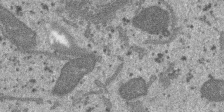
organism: Human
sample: Lung epithelial cells infected with SARS-CoV-2